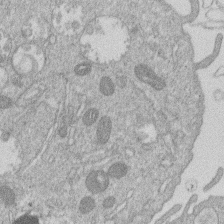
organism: Human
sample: Macrophage cells